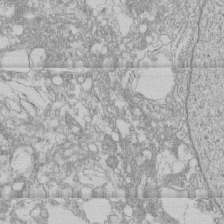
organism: Human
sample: CRL-1474